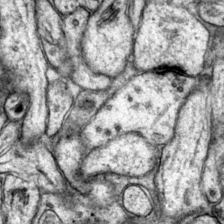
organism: Mouse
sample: Primary visual cortex